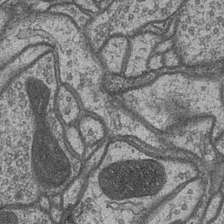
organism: Drosophila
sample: Optic medulla